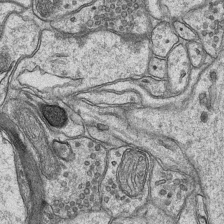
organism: Mouse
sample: CA1 Hippocampus